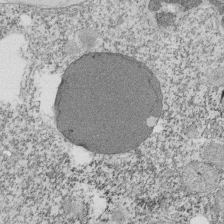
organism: Tetrahymena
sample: Cilia in tetrahymena